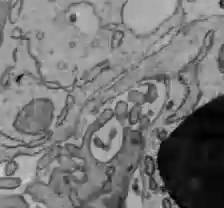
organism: C57BL Mouse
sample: Liver